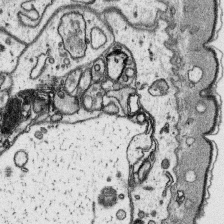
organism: Platynereis dumerilii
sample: Parapodia